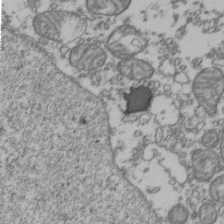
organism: Human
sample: Activated Jurkat CD4+ T cells